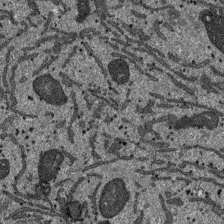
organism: Human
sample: Lung epithelial cells infected with SARS-CoV-2